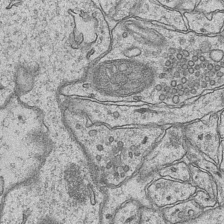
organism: Mouse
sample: CA1 Hippocampus